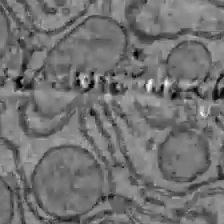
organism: C57BL Mouse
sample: Liver